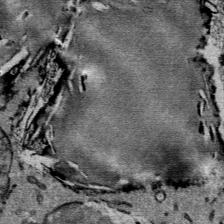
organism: Mouse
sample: Mouse Salivary gland